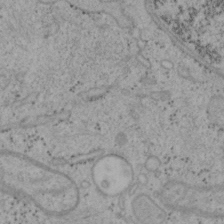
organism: Human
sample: HeLa cells